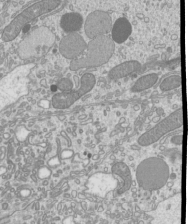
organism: Mouse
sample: Cilia; mouse epididymis